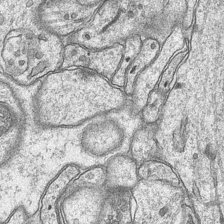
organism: Mouse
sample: CA1 Hippocampus